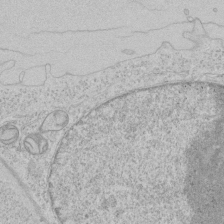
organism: Human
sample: Mitochondria in HCT116 cells